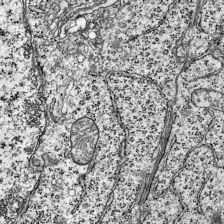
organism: Mouse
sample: Visual Cortex